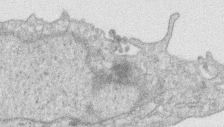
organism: Human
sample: HeLa cell HIV synapse